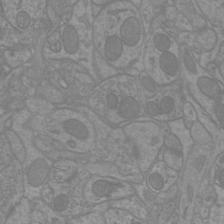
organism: Mouse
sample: Cortical neurons